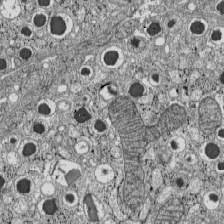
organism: C57BL Mouse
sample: Pancreatic islet